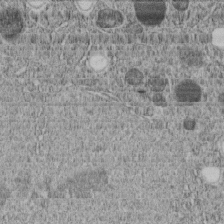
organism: C. elegans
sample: C. elegans embryo early stage